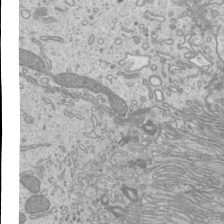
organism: Mouse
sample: Cilia; mouse epididymis